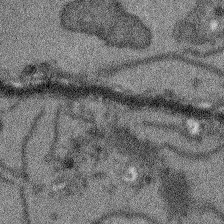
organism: Arabidopsis thaliana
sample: Root tip